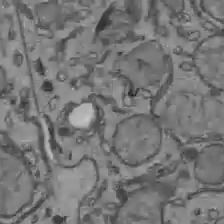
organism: C57BL Mouse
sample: Liver